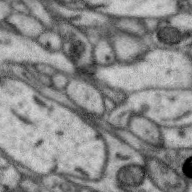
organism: Zebra finch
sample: Brain